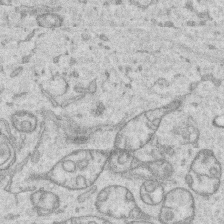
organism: Human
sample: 1205lu cells